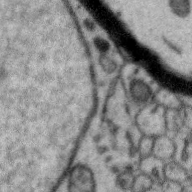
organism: Zebra finch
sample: Brain